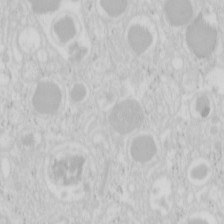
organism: Mouse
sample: Pancreas